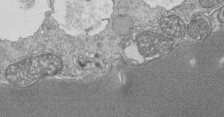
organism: Tetrahymena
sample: Cilia in tetrahymena